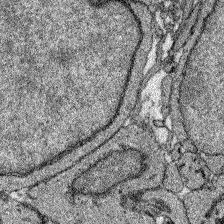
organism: Zebrafish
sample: Larval olfactory bulb